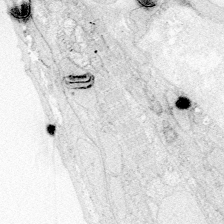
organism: Zebrafish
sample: Whole-Brain